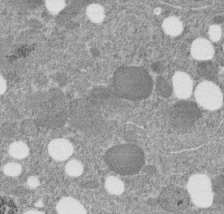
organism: C. elegans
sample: C. elegans embryo early stage